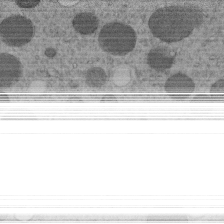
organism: C. elegans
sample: C. elegans embryo early stage